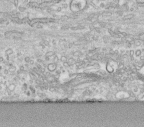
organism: Human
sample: Centriole in fibroblast cells